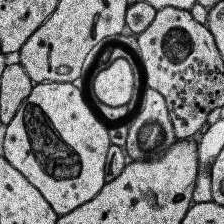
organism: Human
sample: Temporal Lobe